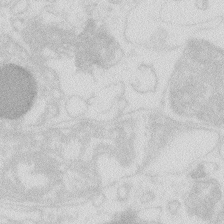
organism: Zebrafish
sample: Macrophage